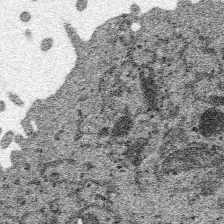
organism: Human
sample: Lung epithelial cells infected with SARS-CoV-2